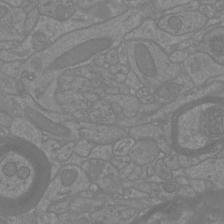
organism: Mouse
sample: Cortical neurons